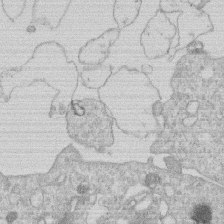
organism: Human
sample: Macrophage cells